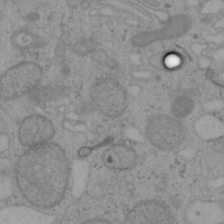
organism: Mouse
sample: OT-I killer T cells with ID8 ovarian cancer cells